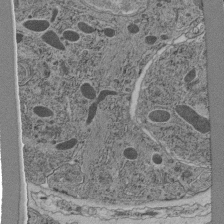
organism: C. elegans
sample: C. elegans pharynx